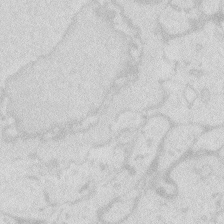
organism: Zebrafish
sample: Macrophage